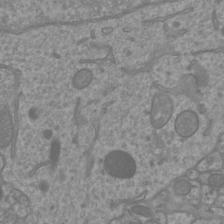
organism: Mouse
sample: Cortical neurons